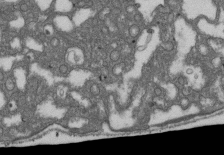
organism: Drosophila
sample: Nephrocyte